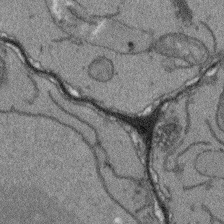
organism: Arabidopsis thaliana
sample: Root tip